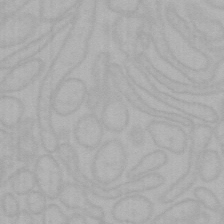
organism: Mouse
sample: Choroid plexus